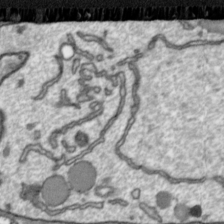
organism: Toxoplasma gondii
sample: Parasites in a vacuole inside a host cell